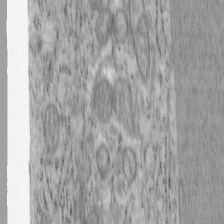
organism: Human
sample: HeLa cells